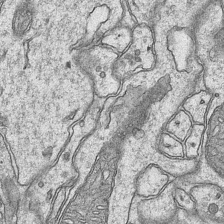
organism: Mouse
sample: CA1 Hippocampus